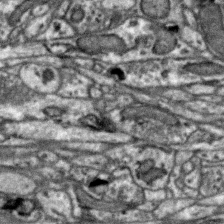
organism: Zebra finch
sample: Brain